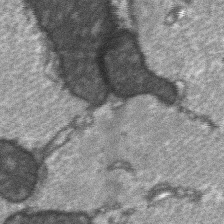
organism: C57BL Mouse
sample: Soleus